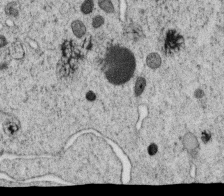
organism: C. elegans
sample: C. elegans oocyte; sperm cells